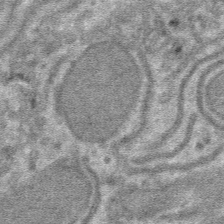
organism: Mouse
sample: Mouse hepatocytes